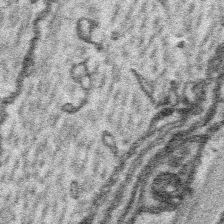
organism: Platynereis dumerilii